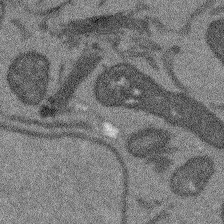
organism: Arabidopsis thaliana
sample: Root tip